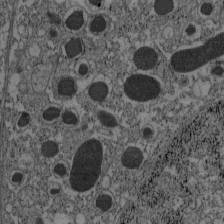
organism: C57BL Mouse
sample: Pancreatic islet